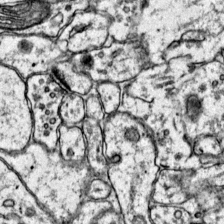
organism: Mouse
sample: Primary visual cortex